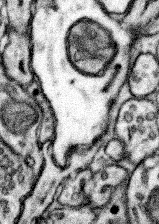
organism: Mouse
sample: Somatosensory cortex neuropil